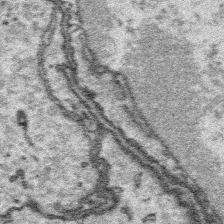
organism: Platynereis dumerilii